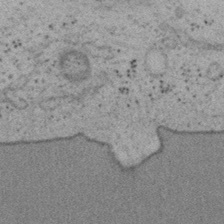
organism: Human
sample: HeLa cells